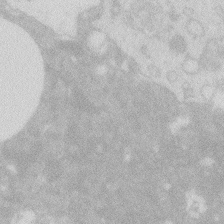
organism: Zebrafish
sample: Macrophage